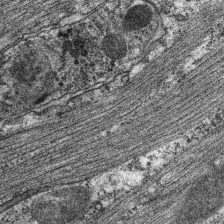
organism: C. elegans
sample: Pharynx